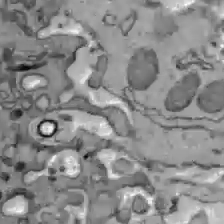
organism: C57BL Mouse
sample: Liver